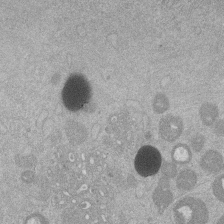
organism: Mouse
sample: Dividing mouse embryo 1 cell stage